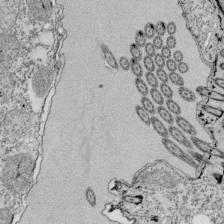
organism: Tetrahymena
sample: Cilia in tetrahymena